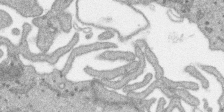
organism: Human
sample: Lung epithelial cells infected with SARS-CoV-2